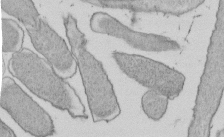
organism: E. coli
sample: Bacterial nucleoid